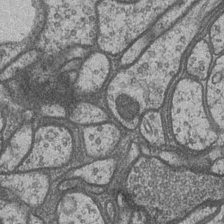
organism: Drosophila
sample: Optic medulla